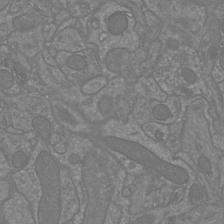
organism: Mouse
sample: Cortical neurons